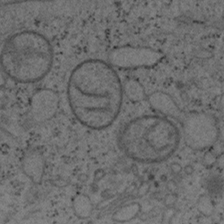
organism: Human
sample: HeLa cells